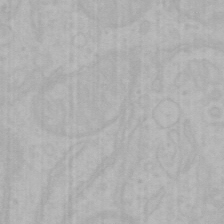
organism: Mouse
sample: Choroid plexus